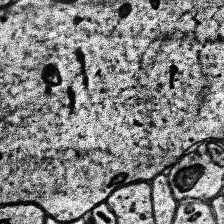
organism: Human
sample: Temporal Lobe